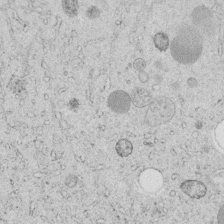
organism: C. elegans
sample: C. elegans embryo early stage